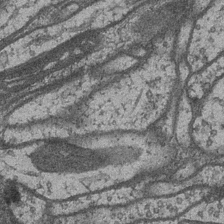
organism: Drosophila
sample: Optic medulla